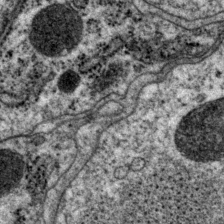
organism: P. pacificus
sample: Pharynx